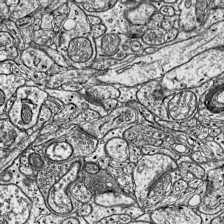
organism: Mouse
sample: Visual Cortex